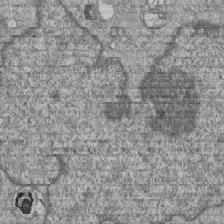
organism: Human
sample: MDA-MB-231 cells